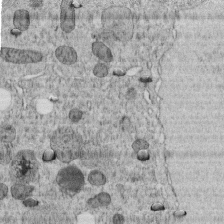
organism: C. elegans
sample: C. elegans embryo early stage